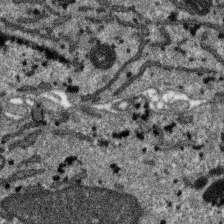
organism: Human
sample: Lung epithelial cells infected with SARS-CoV-2